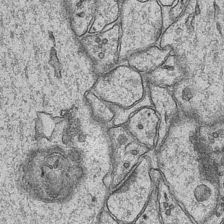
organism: Mouse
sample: CA1 Hippocampus